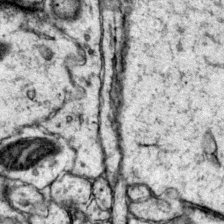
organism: Mouse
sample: Primary visual cortex